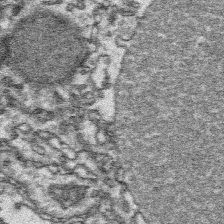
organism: Platynereis dumerilii